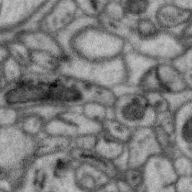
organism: Zebra finch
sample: Brain